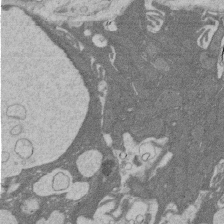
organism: Rat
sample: Salivary granule